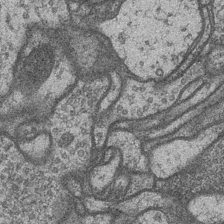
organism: Drosophila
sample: Optic medulla